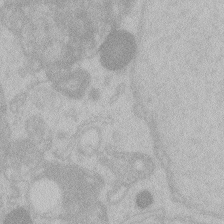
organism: Zebrafish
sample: Macrophage infected with Toxoplasma gondii